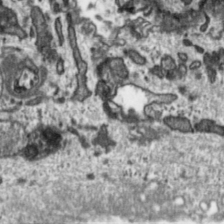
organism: Toxoplasma gondii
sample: Parasites in a vacuole inside a host cell